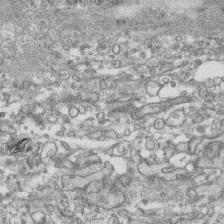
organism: Human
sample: CRL-1474